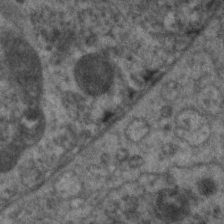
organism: C. elegans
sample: Pharynx